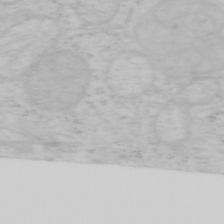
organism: Mouse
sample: OT-I killer T cells with ID8 ovarian cancer cells